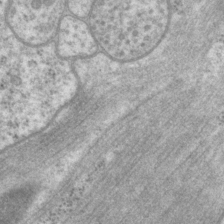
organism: P. pacificus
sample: Pharynx